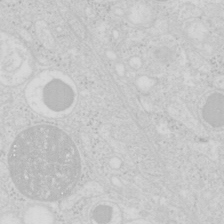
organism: Mouse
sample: Pancreas